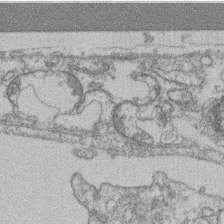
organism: Mouse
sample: T cell stromal cell synapse